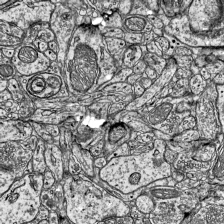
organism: Mouse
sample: Visual Cortex